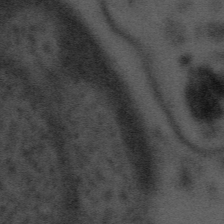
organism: Tuwongella immobilis